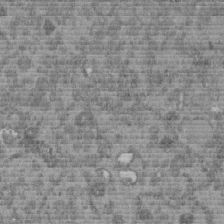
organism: C. elegans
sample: C. elegans embryo early stage